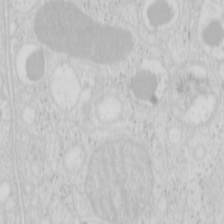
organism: Mouse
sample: Pancreas